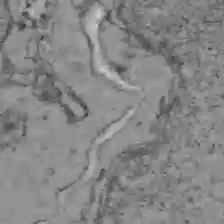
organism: C57BL Mouse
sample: Liver